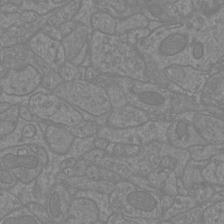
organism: Mouse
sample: Cortical neurons